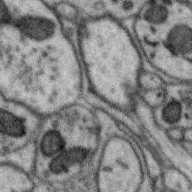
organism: Zebra finch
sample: Brain